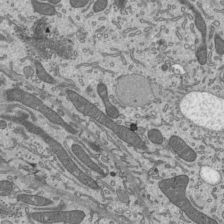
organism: Mouse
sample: Mouse epididymis efferent ductule cilia